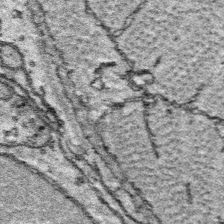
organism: Platynereis dumerilii